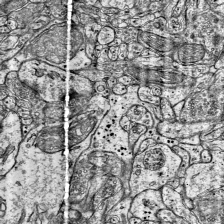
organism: Mouse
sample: Visual Cortex